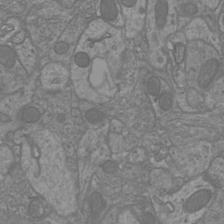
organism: Mouse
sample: Cortical neurons